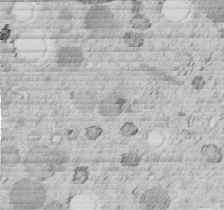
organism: C. elegans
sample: C. elegans embryo early stage